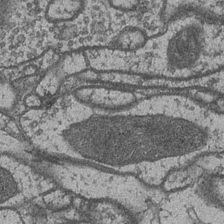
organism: Drosophila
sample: Optic medulla